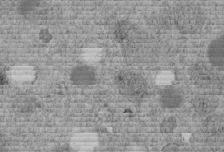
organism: C. elegans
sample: C. elegans embryo early stage